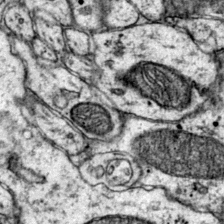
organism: Mouse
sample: Primary visual cortex